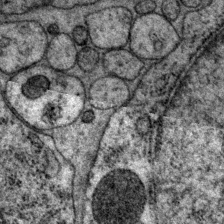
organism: P. pacificus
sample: Pharynx